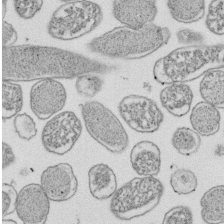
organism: E. coli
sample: Bacterial nucleoid